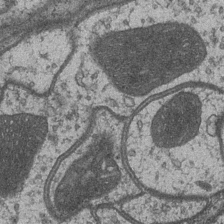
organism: Drosophila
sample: Optic medulla